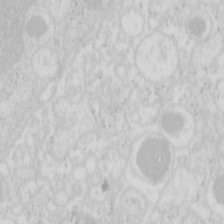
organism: Mouse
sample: Pancreas